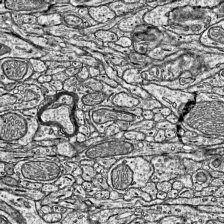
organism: Mouse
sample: Visual Cortex